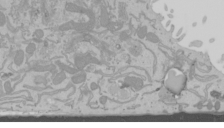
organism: Mouse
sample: Cancer cell death in ED-1 cells